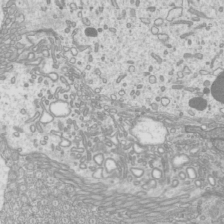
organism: Mouse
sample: Cilia; mouse epididymis